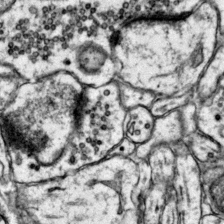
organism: Mouse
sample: Primary visual cortex